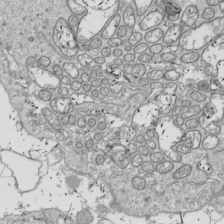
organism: Drosophila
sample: Cell division; meiosis; drosophila spermatocytes